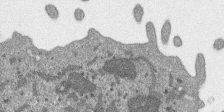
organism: Human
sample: Lung epithelial cells infected with SARS-CoV-2